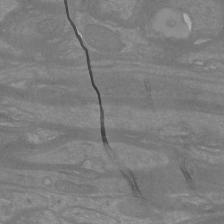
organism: Mouse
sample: Cortical neurons